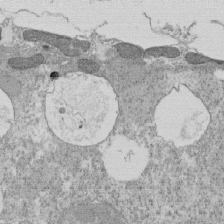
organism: Tetrahymena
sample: Cilia in tetrahymena